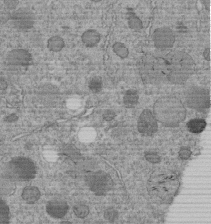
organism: C. elegans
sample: C. elegans embryo early stage